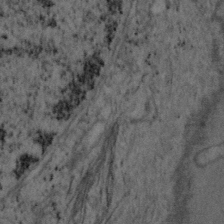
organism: Human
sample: HeLa cells